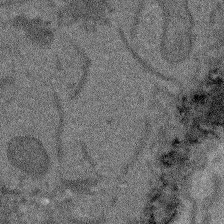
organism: Arabidopsis thaliana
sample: Root tip